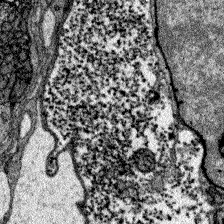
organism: Zebrafish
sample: Larval olfactory bulb